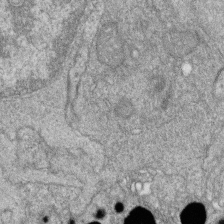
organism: Zebrafish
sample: Cilia; retinal pigment epithelium